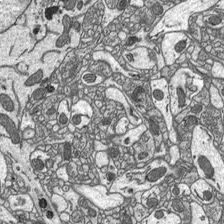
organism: C57BL Mouse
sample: Optic nerve head